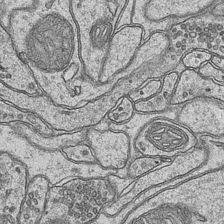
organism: Mouse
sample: CA1 Hippocampus